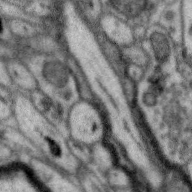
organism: Zebra finch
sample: Brain